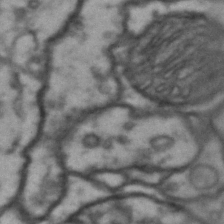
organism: Drosophila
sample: Brain